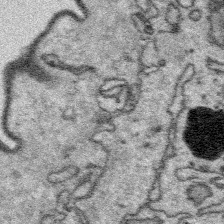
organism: Platynereis dumerilii